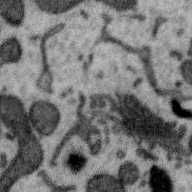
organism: Zebra finch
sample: Brain